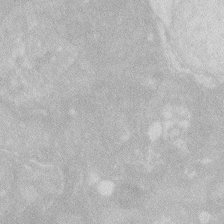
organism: Zebrafish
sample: Macrophage